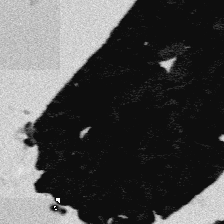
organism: Platynereis dumerilii